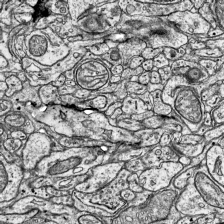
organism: Mouse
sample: Visual Cortex